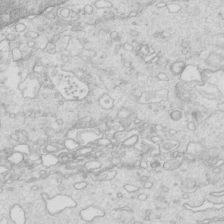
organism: Mouse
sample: Multiciliated cells